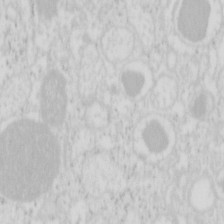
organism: Mouse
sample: Pancreas